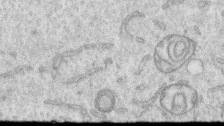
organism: Human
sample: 1205lu cells